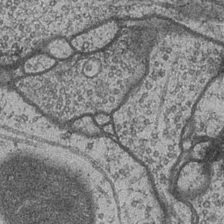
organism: Drosophila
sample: Optic medulla